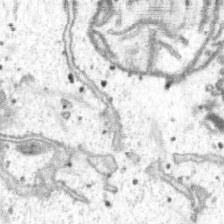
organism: Human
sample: HeLa cells